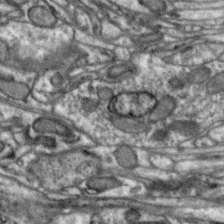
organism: Zebra finch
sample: Brain